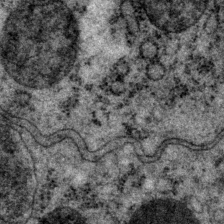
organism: P. pacificus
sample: Pharynx